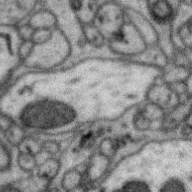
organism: Zebra finch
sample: Brain